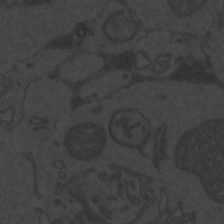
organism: Zebrafish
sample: Macrophage infected with Toxoplasma gondii